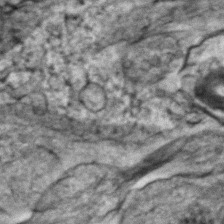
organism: Zebrafish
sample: Zebrafish embryo